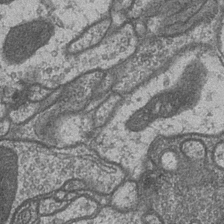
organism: Drosophila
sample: Optic medulla